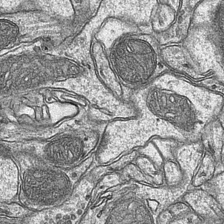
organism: Mouse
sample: CA1 Hippocampus